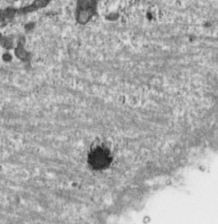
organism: Toxoplasma gondii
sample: Parasites in a vacuole inside a host cell